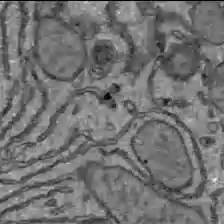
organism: C57BL Mouse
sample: Liver